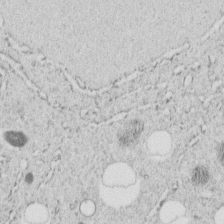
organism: C. elegans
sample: C. elegans embryo early stage